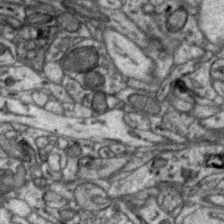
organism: Zebra finch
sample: Brain